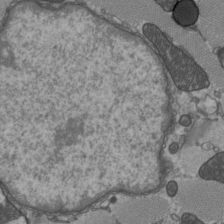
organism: C57BL Mouse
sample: Heart